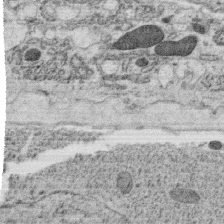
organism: C. elegans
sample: C. elegans oocyte; sperm cells